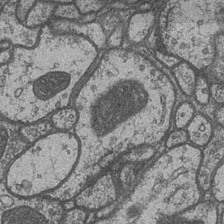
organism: Drosophila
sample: Optic medulla